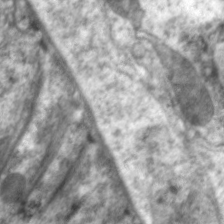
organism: C. elegans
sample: Pharynx